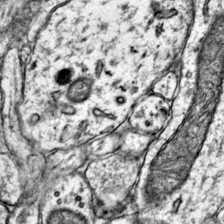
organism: Mouse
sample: Primary visual cortex